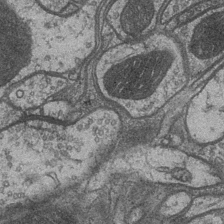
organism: Drosophila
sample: Optic medulla